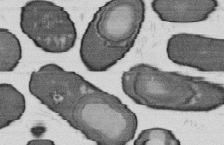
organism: B. subtilis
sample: Bacterial spore